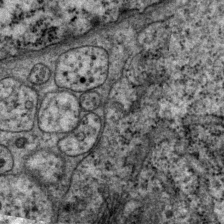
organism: P. pacificus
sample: Pharynx